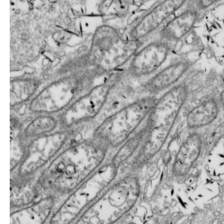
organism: Drosophila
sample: Cell division; meiosis; drosophila spermatocytes